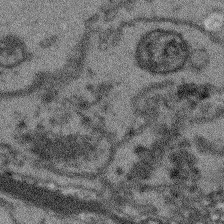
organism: Arabidopsis thaliana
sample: Root tip